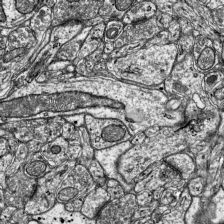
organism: Mouse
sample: Visual Cortex